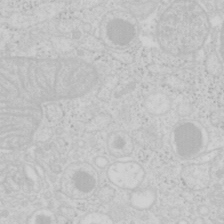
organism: Mouse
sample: Pancreas